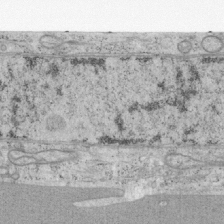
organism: Human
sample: HeLa cells